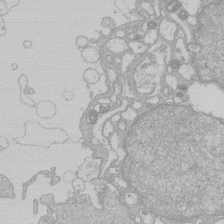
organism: Human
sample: Macrophage cells